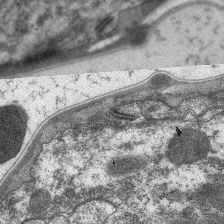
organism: C. elegans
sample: Pharynx